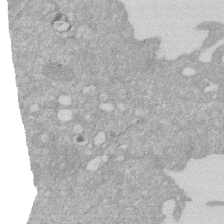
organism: Human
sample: HIV infected U937 cells